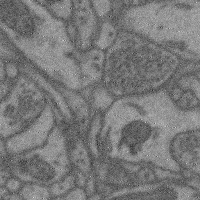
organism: Mouse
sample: Cerebral cortex